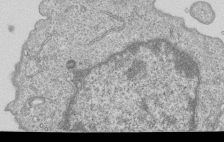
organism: Human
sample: MDA-MB-231 cells